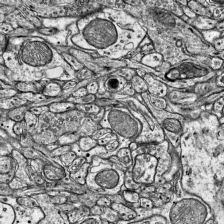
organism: Mouse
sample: Visual Cortex